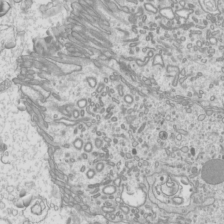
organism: Mouse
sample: Cilia; mouse epididymis